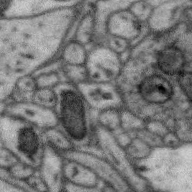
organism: Zebra finch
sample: Brain